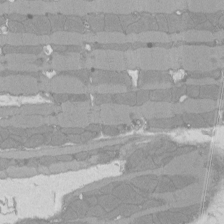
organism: Rat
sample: Left ventricle